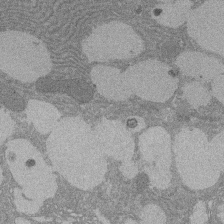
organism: Rat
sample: Salivary granule